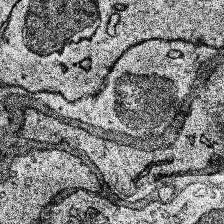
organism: Human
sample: Temporal Lobe